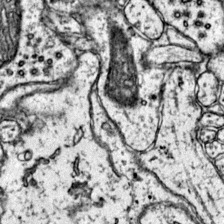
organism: Mouse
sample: Primary visual cortex